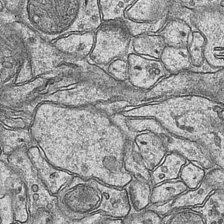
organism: Mouse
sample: CA1 Hippocampus